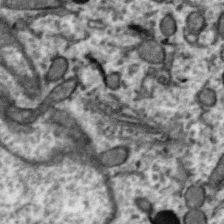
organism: Zebra finch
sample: Brain